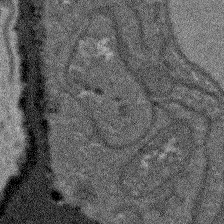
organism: Arabidopsis thaliana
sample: Root tip